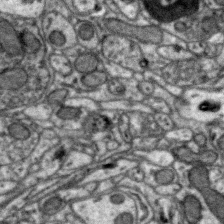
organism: Zebra finch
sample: Brain